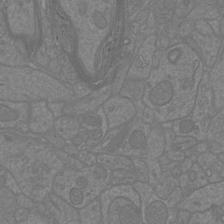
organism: Mouse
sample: Cortical neurons